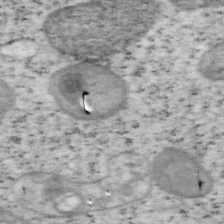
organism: Mouse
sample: OT-I killer T cells with ID8 ovarian cancer cells